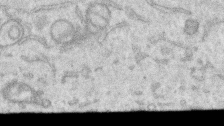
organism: Human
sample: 1205lu cells